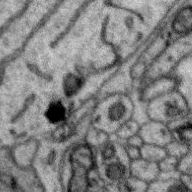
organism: Zebra finch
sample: Brain